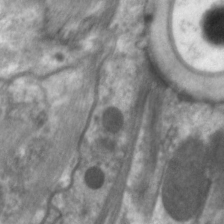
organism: C. elegans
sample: Pharynx